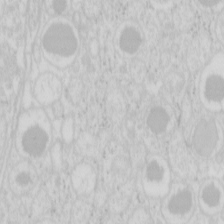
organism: Mouse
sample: Pancreas